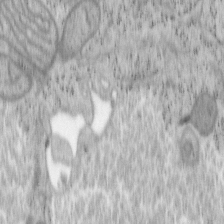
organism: Human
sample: HeLa cells